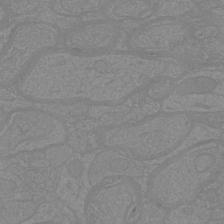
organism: Mouse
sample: Cortical neurons